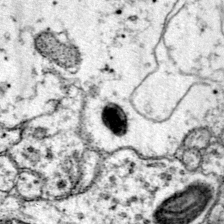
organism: Mouse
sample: Primary visual cortex